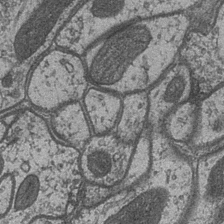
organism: Drosophila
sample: Optic medulla